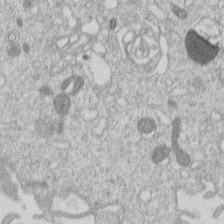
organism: Human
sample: Macrophage cells